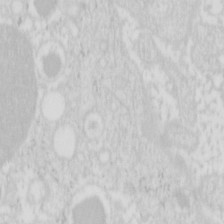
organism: Mouse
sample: Pancreas